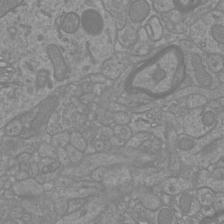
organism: Mouse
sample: Cortical neurons